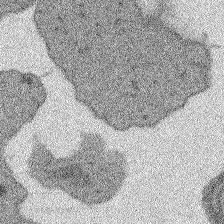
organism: Human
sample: HeLa cells